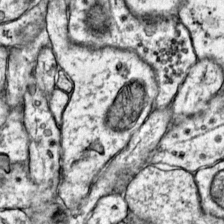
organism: Mouse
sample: Primary visual cortex